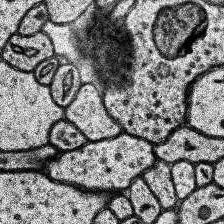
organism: Human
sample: Temporal Lobe